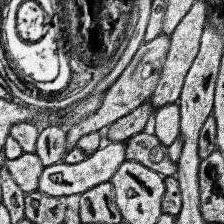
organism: Human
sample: Temporal Lobe